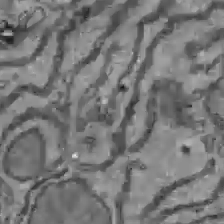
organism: C57BL Mouse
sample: Liver